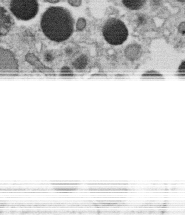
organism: C. elegans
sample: C. elegans oocyte; sperm cells